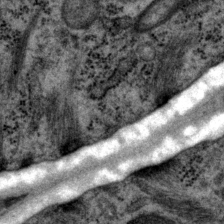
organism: P. pacificus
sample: Pharynx